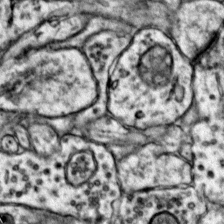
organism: Mouse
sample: Primary visual cortex